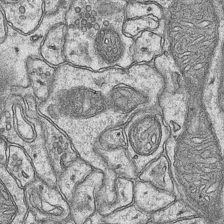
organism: Mouse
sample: CA1 Hippocampus